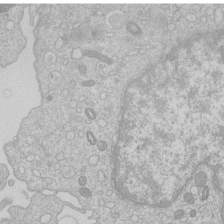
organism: Human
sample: Macrophage cells